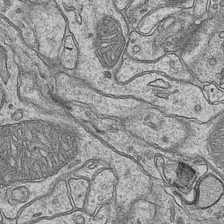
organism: Mouse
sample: CA1 Hippocampus